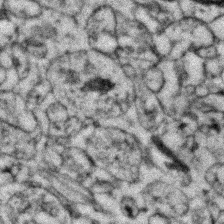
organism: Zebrafish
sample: Zebrafish embryo